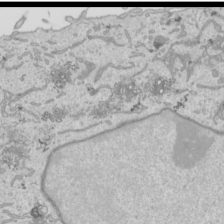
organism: Human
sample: Mitochondria in HCT116 cells